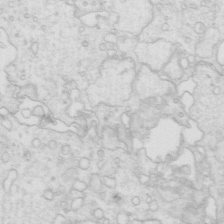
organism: Mouse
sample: Multiciliated cells